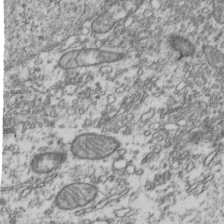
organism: Human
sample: Activated Jurkat CD4+ T cells